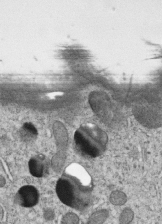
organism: C. elegans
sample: C. elegans embryo early stage